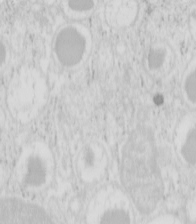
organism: Mouse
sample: Pancreas